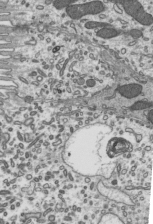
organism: Mouse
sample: Mouse epididymis efferent ductule cilia